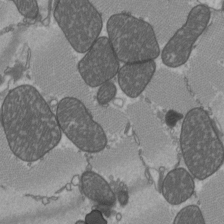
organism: C57BL Mouse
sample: Heart